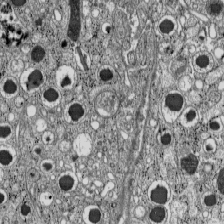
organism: C57BL Mouse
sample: Pancreatic islet